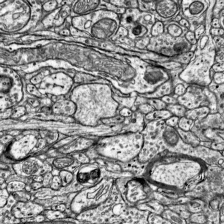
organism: Mouse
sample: Visual Cortex